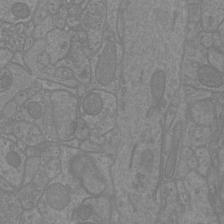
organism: Mouse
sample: Cortical neurons